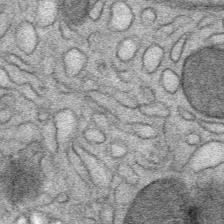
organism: Mouse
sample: Mouse Salivary gland